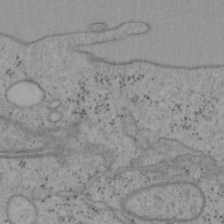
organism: Human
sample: HeLa cells